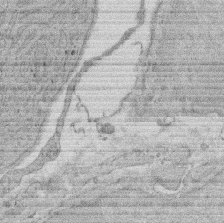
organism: Rat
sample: Salivary granule